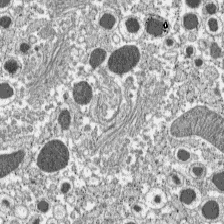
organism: C57BL Mouse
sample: Pancreatic islet